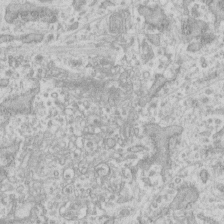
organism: Human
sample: Fibroblast cells